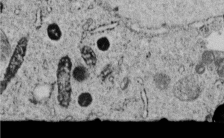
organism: C. elegans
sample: C. elegans embryo early stage